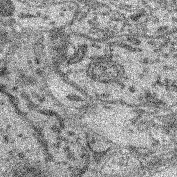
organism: Mouse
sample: Retina